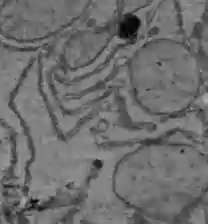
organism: C57BL Mouse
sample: Liver